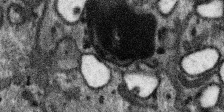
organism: Human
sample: Lung epithelial cells infected with SARS-CoV-2